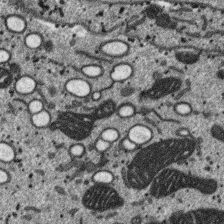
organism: Human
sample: Lung epithelial cells infected with SARS-CoV-2